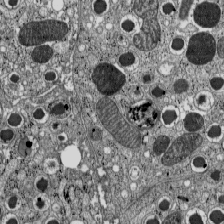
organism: C57BL Mouse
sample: Pancreatic islet